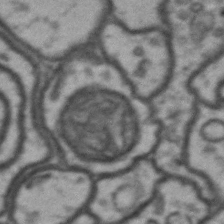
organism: Drosophila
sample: Brain